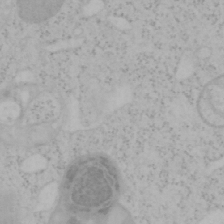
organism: Mouse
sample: OT-I killer T cells with ID8 ovarian cancer cells